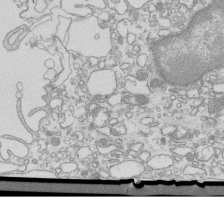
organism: Mouse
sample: Macrophages